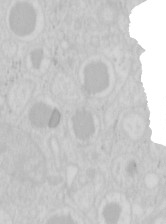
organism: Mouse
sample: Pancreas